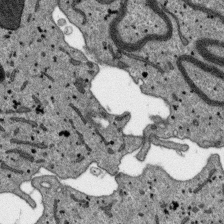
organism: Human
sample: Lung epithelial cells, uninfected (mock) control